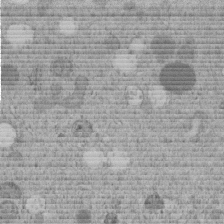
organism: C. elegans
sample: C. elegans embryo early stage